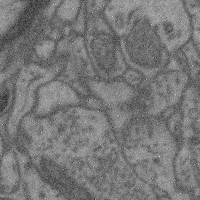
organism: Mouse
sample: Cerebral cortex